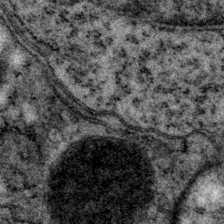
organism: P. pacificus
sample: Pharynx